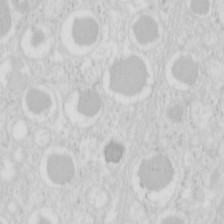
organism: Mouse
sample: Pancreas